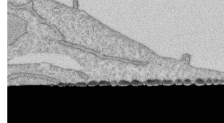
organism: Human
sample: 1205lu cells